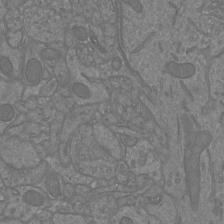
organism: Mouse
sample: Cortical neurons